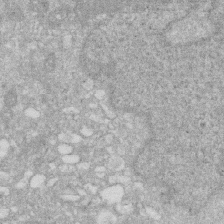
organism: Human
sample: HIV infected U937 cells